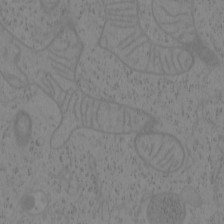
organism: Human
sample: HeLa cells